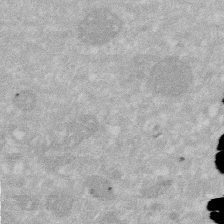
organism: Human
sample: HIV infected U937 cells